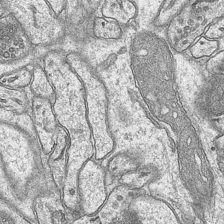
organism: Mouse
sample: CA1 Hippocampus